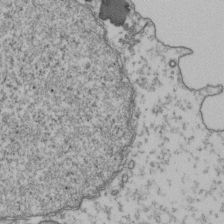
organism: Human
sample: Activated Jurkat CD4+ T cells